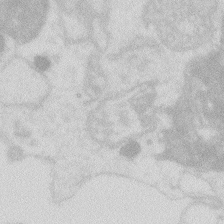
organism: Zebrafish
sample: Macrophage